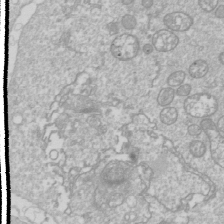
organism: Drosophila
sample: Cell division; meiosis; drosophila spermatocytes